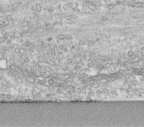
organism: Human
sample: Centriole in fibroblast cells